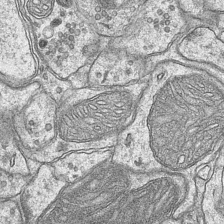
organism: Mouse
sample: CA1 Hippocampus